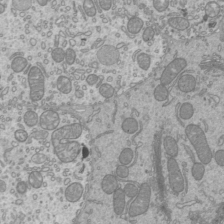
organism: Mouse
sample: Cilia; mouse epididymis